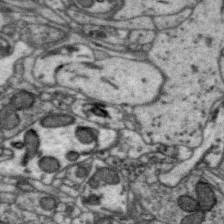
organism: Zebra finch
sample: Brain